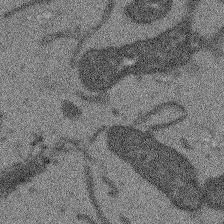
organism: Arabidopsis thaliana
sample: Root tip